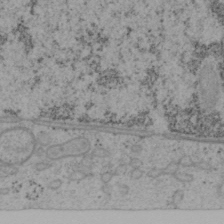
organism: Human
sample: HeLa cells